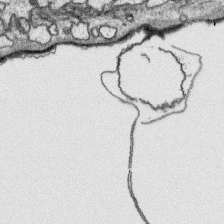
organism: Platynereis dumerilii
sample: Parapodia